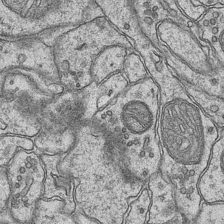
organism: Mouse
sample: CA1 Hippocampus